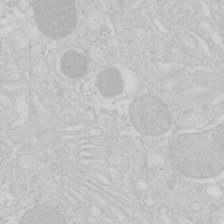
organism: Mouse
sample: Pancreas